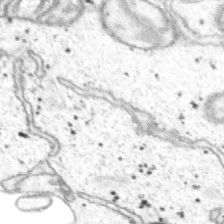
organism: Human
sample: HeLa cells